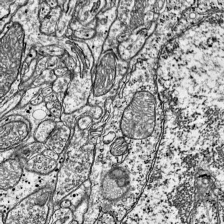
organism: Mouse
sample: Visual Cortex